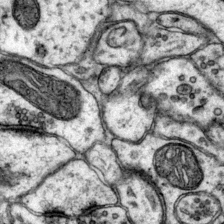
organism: Mouse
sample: Primary visual cortex